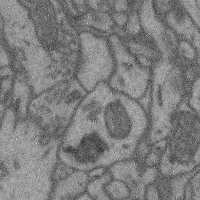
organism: Mouse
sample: Cerebral cortex